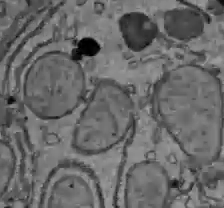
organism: C57BL Mouse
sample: Liver